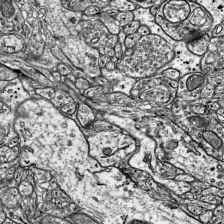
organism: Mouse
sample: Visual Cortex